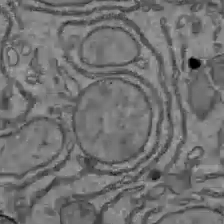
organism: C57BL Mouse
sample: Liver